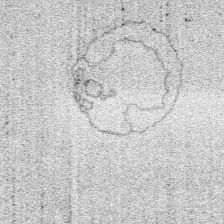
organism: Human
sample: Lung epithelial cells, uninfected (mock) control